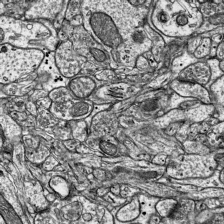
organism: Mouse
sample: Visual Cortex